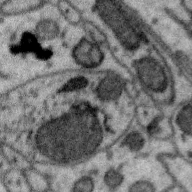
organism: Zebra finch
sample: Brain